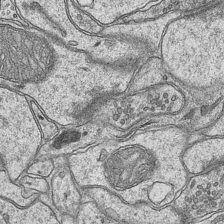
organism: Mouse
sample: CA1 Hippocampus